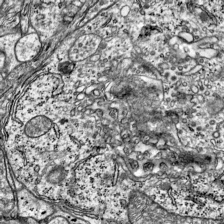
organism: Mouse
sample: Visual Cortex